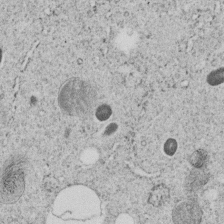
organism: C. elegans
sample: C. elegans embryo early stage